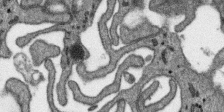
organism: Human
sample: Lung epithelial cells, uninfected (mock) control